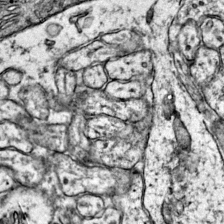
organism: Mouse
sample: Primary visual cortex